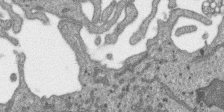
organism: Human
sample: Lung epithelial cells infected with SARS-CoV-2